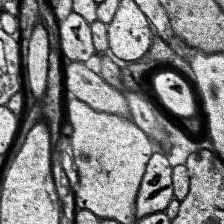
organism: Human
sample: Temporal Lobe